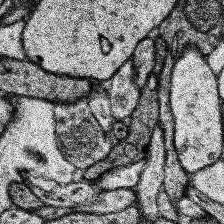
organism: Human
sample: Temporal Lobe